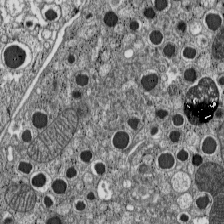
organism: C57BL Mouse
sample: Pancreatic islet